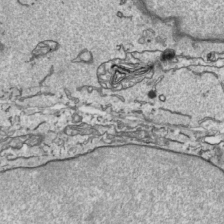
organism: Human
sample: Mitochondria in HCT116 cells